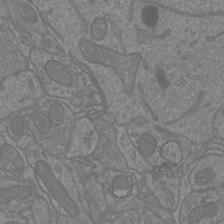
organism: Mouse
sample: Cortical neurons